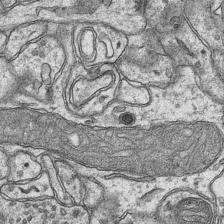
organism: Mouse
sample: CA1 Hippocampus